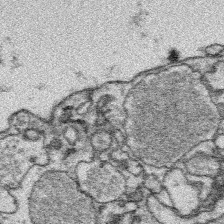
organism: Platynereis dumerilii